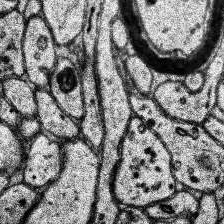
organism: Human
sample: Temporal Lobe